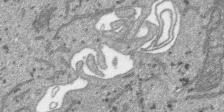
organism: Human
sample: Lung epithelial cells infected with SARS-CoV-2